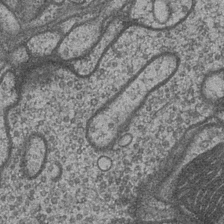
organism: Drosophila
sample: Optic medulla